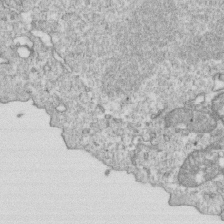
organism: Mouse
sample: Activated OT-1 CD8+ T cells